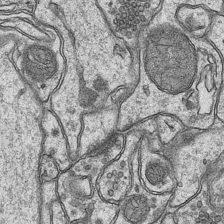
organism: Mouse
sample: CA1 Hippocampus